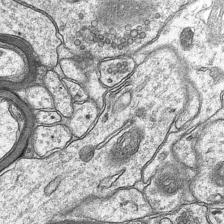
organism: Mouse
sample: CA1 Hippocampus